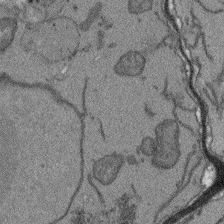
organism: Arabidopsis thaliana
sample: Root tip